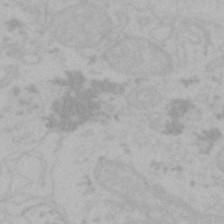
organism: Mouse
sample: Choroid plexus